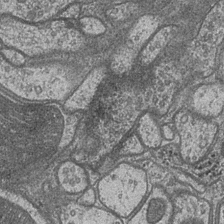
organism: Drosophila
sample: Optic medulla